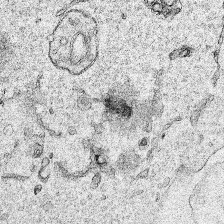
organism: Human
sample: Mitochondria in HCT116 cells